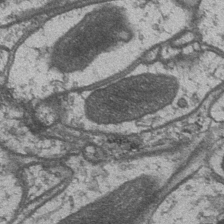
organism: Drosophila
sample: Optic medulla